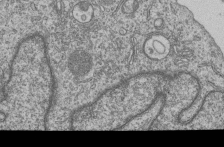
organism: Human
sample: MDA-MB-231 cells